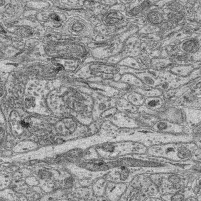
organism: Mouse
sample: Retina